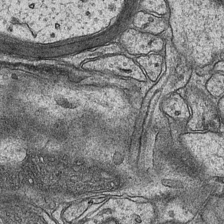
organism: Mouse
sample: CA1 Hippocampus